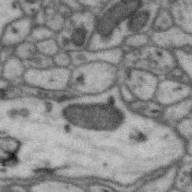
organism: Zebra finch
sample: Brain